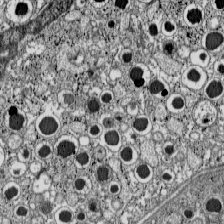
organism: C57BL Mouse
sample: Pancreatic islet